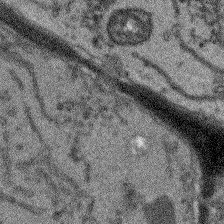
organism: Arabidopsis thaliana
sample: Root tip